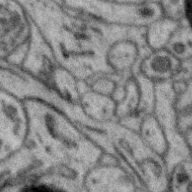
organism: Zebra finch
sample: Brain